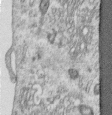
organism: Human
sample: Centriole in RPE cells